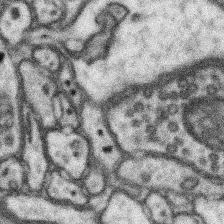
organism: Mouse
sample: Somatosensory cortex neuropil